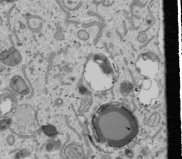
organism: Human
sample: Mitochondria in U2OS cells